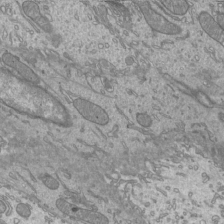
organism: Mouse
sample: Cilia; mouse epididymis